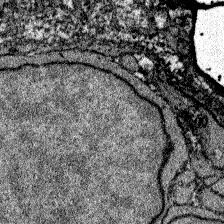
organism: Zebrafish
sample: Larval olfactory bulb